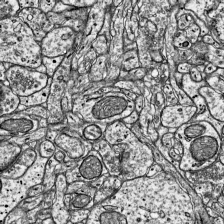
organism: Mouse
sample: Visual Cortex